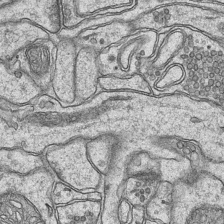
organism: Mouse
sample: CA1 Hippocampus